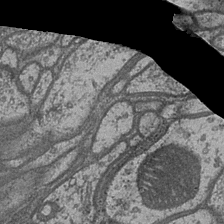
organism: Drosophila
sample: Optic medulla